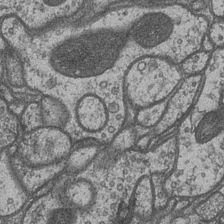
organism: Drosophila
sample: Optic medulla